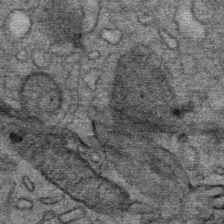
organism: Mouse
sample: Mouse Salivary gland